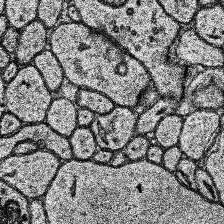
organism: Human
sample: Temporal Lobe